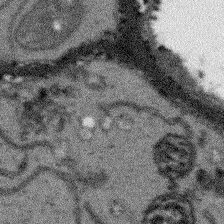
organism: Arabidopsis thaliana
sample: Root tip